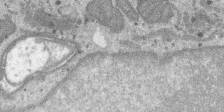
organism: Human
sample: Lung epithelial cells infected with SARS-CoV-2